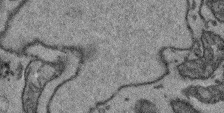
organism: Arabidopsis thaliana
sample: Root tip